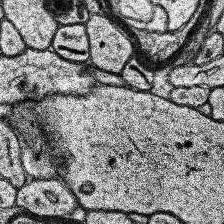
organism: Human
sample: Temporal Lobe